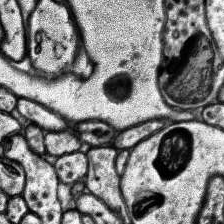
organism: Human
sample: Temporal Lobe